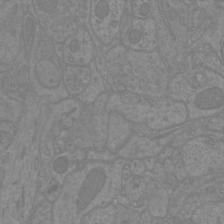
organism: Mouse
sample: Cortical neurons